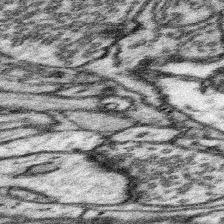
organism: Mouse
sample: Somatosensory cortex neuropil